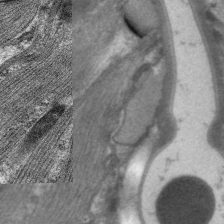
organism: C. elegans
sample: Pharynx